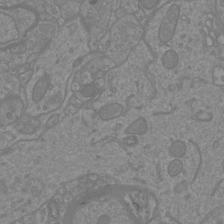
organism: Mouse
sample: Cortical neurons